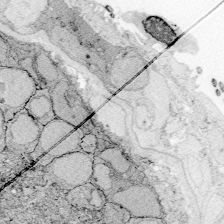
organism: Zebrafish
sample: Whole-Brain